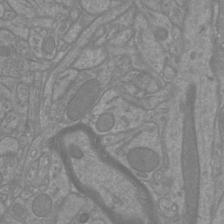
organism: Mouse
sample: Cortical neurons